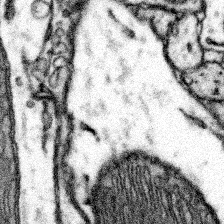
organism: Mouse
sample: Somatosensory cortex neuropil